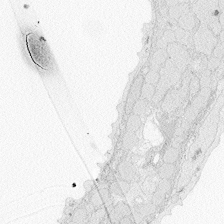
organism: Zebrafish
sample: Whole-Brain